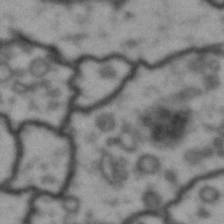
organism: Drosophila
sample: Brain